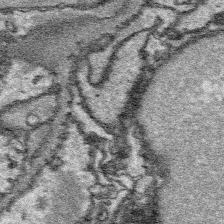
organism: Platynereis dumerilii